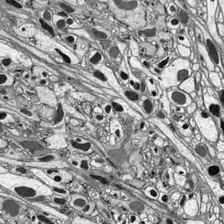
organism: Drosophila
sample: Optic lobe